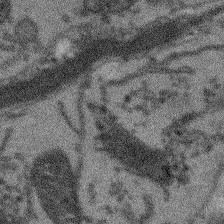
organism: Arabidopsis thaliana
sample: Root tip